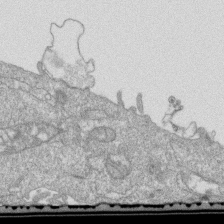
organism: Human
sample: HeLa cell HIV synapse